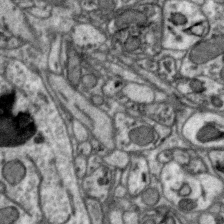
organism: Zebra finch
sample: Brain